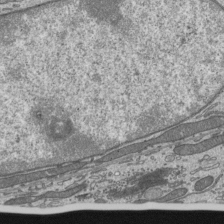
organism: Mouse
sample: Mouse epididymis efferent ductule cilia